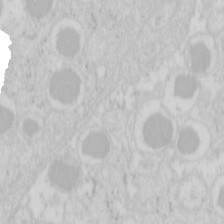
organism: Mouse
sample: Pancreas